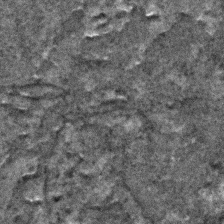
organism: C. elegans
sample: C. elegans embryo